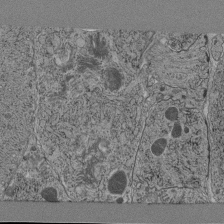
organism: C. elegans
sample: C. elegans pharynx